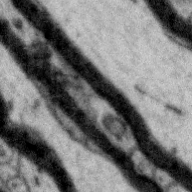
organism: Zebra finch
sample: Brain